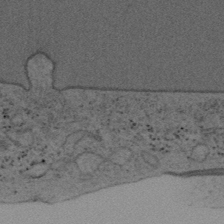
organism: Human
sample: HeLa cells